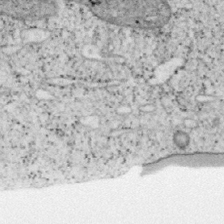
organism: Mouse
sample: OT-I killer T cells with ID8 ovarian cancer cells